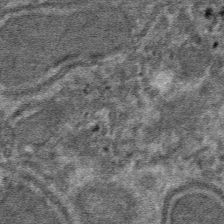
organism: Mouse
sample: Mouse hepatocytes